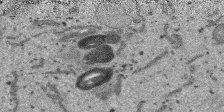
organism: Human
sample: Lung epithelial cells infected with SARS-CoV-2